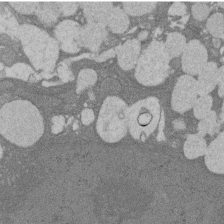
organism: Rat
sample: Salivary granule